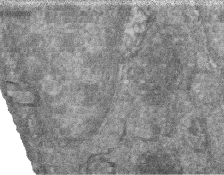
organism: Zebrafish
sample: Cilia; retinal pigment epithelium